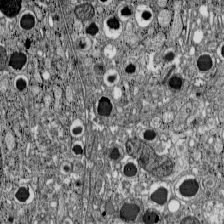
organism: C57BL Mouse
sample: Pancreatic islet